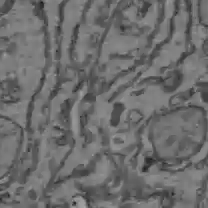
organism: C57BL Mouse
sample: Liver